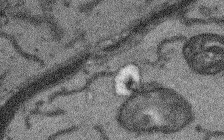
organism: Arabidopsis thaliana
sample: Root tip